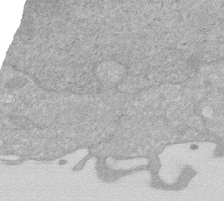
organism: Human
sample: HIV infected U937 cells